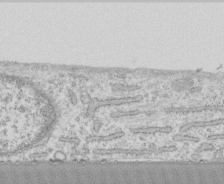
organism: Human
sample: CRL-1474